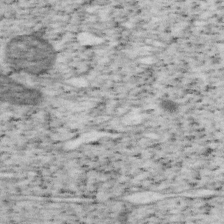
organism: Mouse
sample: OT-I killer T cells with ID8 ovarian cancer cells